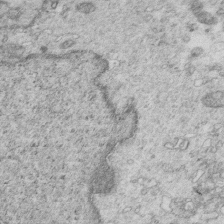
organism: Mouse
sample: Multiciliated cells